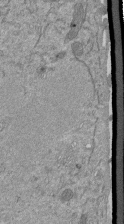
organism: Mouse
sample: ED-1 cell nuclei; centrioles